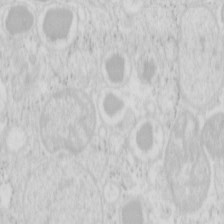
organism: Mouse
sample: Pancreas